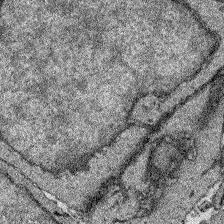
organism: Zebrafish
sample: Larval olfactory bulb